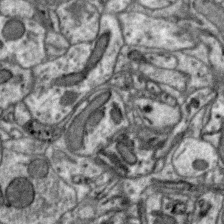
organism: Zebra finch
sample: Brain